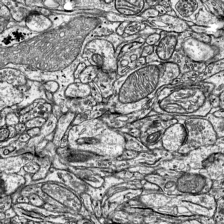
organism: Mouse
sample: Visual Cortex